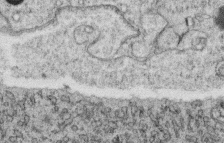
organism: C. elegans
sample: C. elegans oocyte; sperm cells